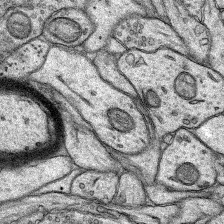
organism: Rat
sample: Hippocampus